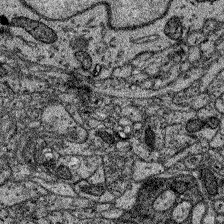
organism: Zebrafish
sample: Larval olfactory bulb